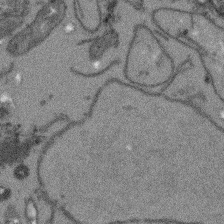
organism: Arabidopsis thaliana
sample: Root tip